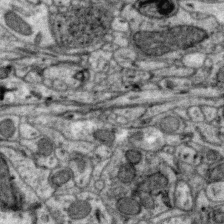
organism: Zebra finch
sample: Brain